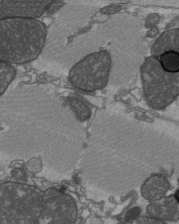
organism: C57BL Mouse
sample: Heart